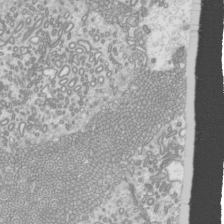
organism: Mouse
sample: Cilia; mouse epididymis